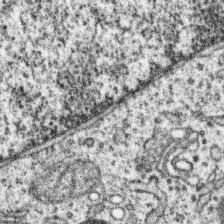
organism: Human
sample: HeLa cells